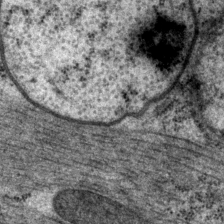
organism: P. pacificus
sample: Pharynx